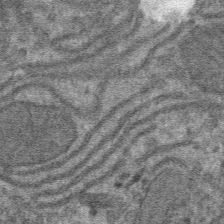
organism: Mouse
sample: Mouse hepatocytes